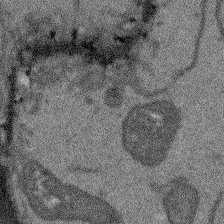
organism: Arabidopsis thaliana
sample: Root tip